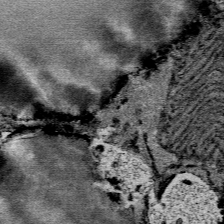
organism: Mouse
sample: Mouse Salivary gland